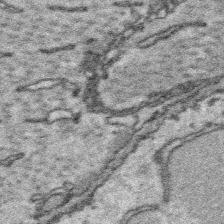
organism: Platynereis dumerilii